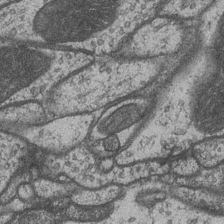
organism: Drosophila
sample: Optic medulla